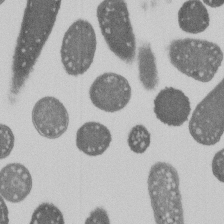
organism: E. coli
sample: Bacterial nucleoid